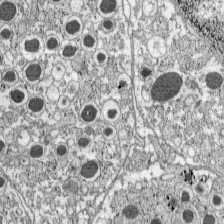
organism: C57BL Mouse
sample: Pancreatic islet